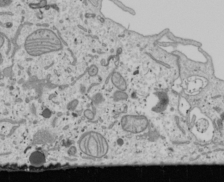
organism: Human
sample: Mitochondria in U2OS cells